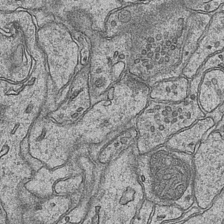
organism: Mouse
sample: CA1 Hippocampus